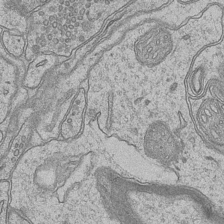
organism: Mouse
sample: CA1 Hippocampus